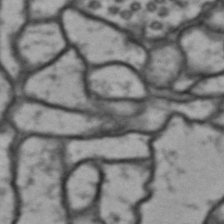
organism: Drosophila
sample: Brain